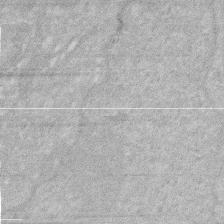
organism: Human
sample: HIV infected U937 cells